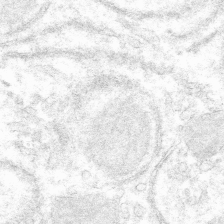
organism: Mouse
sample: Mouse hepatocytes